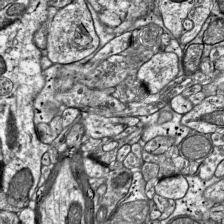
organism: Mouse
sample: Visual Cortex